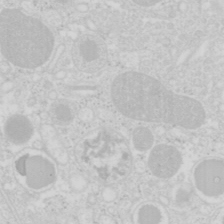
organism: Mouse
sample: Pancreas